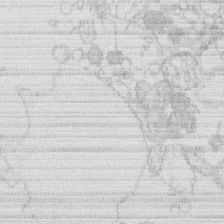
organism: Human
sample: Macrophage cells